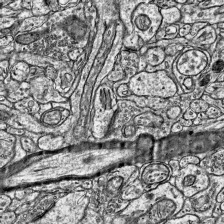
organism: Mouse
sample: Visual Cortex